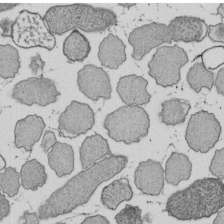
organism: E. coli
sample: Bacterial nucleoid